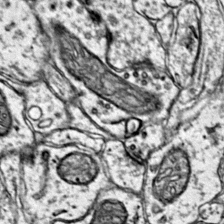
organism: Mouse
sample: Primary visual cortex